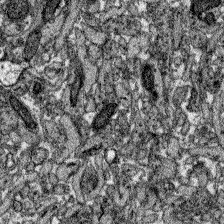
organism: Zebrafish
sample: Larval olfactory bulb